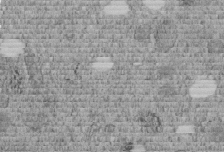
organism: C. elegans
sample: C. elegans embryo early stage